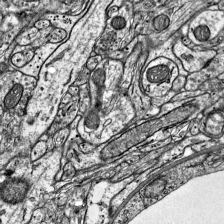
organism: Mouse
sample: Visual Cortex